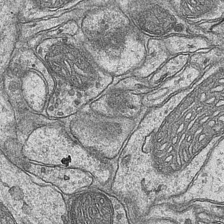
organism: Mouse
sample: CA1 Hippocampus